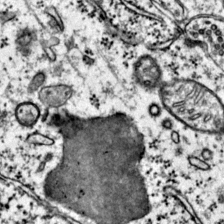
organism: Mouse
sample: Primary visual cortex